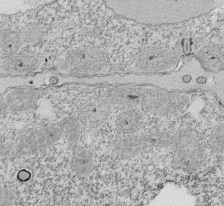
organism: Tetrahymena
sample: Cilia in tetrahymena